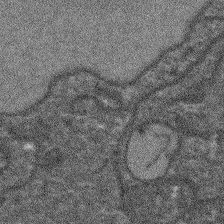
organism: Arabidopsis thaliana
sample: Root tip